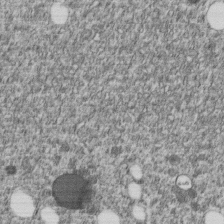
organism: C. elegans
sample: C. elegans embryo early stage